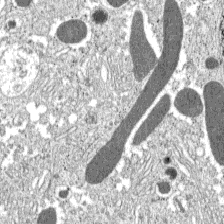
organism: C57BL Mouse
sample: Pancreatic islet